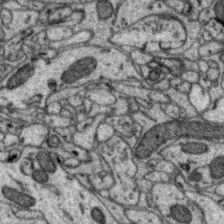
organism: Zebra finch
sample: Brain